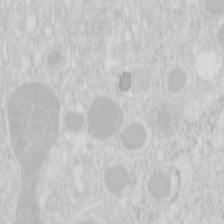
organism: Mouse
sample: Pancreas